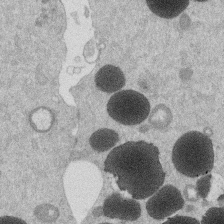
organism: Mouse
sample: Dividing mouse embryo 1 cell stage